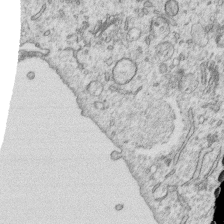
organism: Human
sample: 1205lu cells